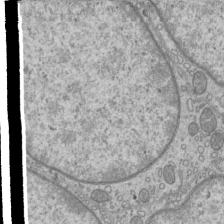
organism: Mouse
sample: Cilia; mouse epididymis